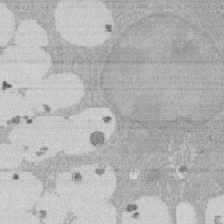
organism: Rat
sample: Salivary granule